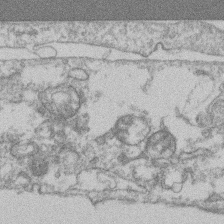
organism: Mouse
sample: T cell stromal cell synapse